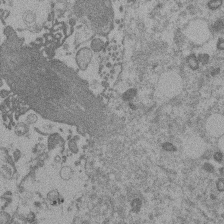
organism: Mouse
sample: Dividing mouse embryo 1 cell stage